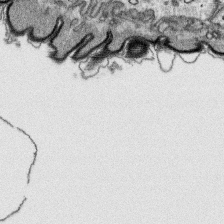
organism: Platynereis dumerilii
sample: Parapodia